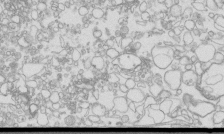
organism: Mouse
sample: Macrophages